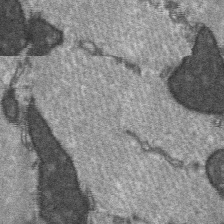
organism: C57BL Mouse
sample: Soleus